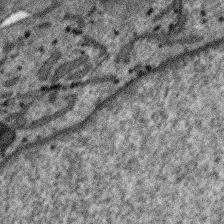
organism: Human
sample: Lung epithelial cells infected with SARS-CoV-2